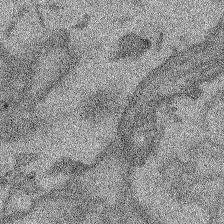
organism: Human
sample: HeLa cells